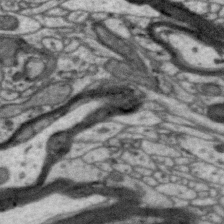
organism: Zebra finch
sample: Brain